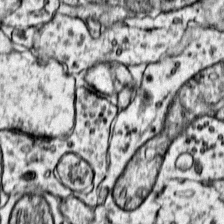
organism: Mouse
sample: Primary visual cortex